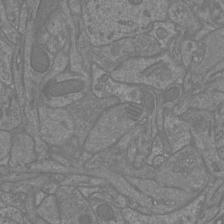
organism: Mouse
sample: Cortical neurons